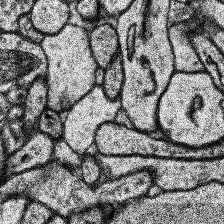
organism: Human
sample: Temporal Lobe